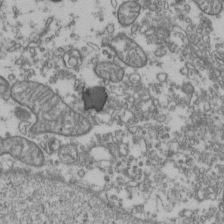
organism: Human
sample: Activated Jurkat CD4+ T cells